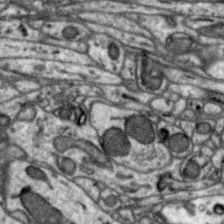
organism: Zebra finch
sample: Brain